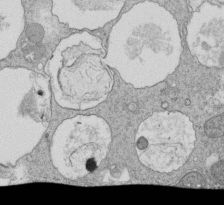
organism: Tetrahymena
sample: Cilia in tetrahymena